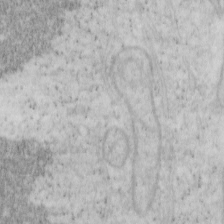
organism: Human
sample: HeLa cells